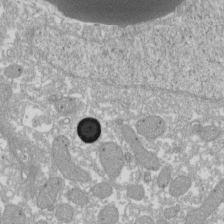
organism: Xenopus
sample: Cilia; centrioles in frog embryo cells